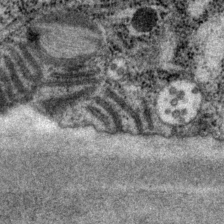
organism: P. pacificus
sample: Pharynx